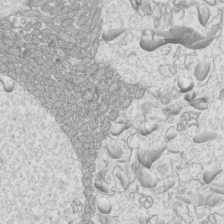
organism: Mouse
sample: Cilia; mouse epididymis